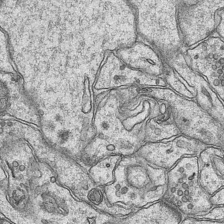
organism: Mouse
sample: CA1 Hippocampus